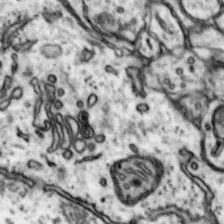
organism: Mouse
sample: Nucleus accumbens